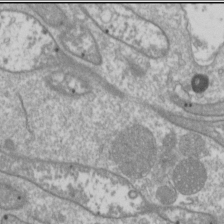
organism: Drosophila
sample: Cell division; meiosis; drosophila spermatocytes